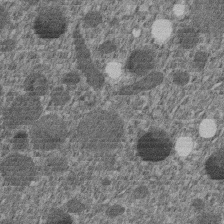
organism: C. elegans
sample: C. elegans embryo early stage